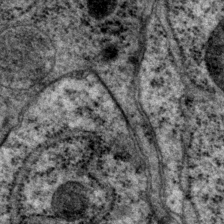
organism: P. pacificus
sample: Pharynx